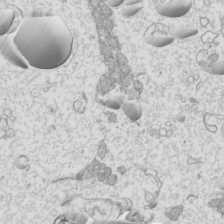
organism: Mouse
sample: Cilia; mouse epididymis